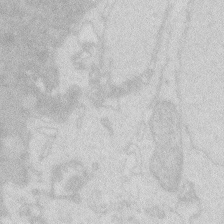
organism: Zebrafish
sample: Macrophage